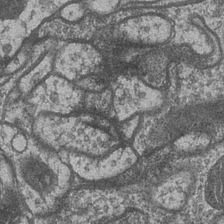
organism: Drosophila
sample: Optic medulla